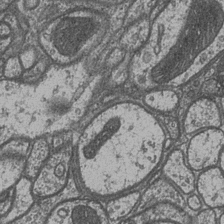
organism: Drosophila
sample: Optic medulla